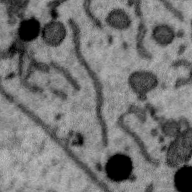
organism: Zebra finch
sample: Brain